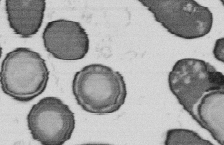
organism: B. subtilis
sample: Bacterial spore